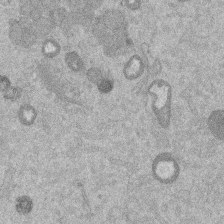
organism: Mouse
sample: Dividing mouse embryo 1 cell stage